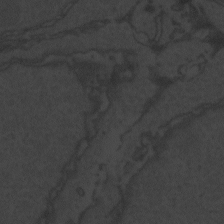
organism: Zebrafish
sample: Macrophage infected with Toxoplasma gondii